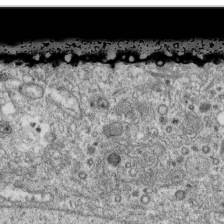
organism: Human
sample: HeLa cell HIV synapse